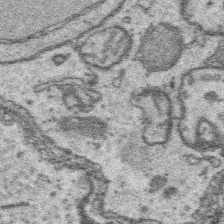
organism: Platynereis dumerilii